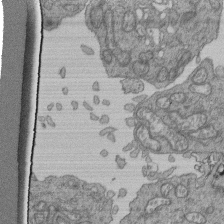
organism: Human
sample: Retinal organoid Rod and Cone cells